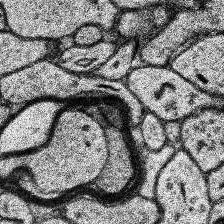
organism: Human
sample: Temporal Lobe